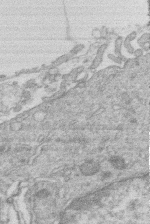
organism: Human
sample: Macrophage cells